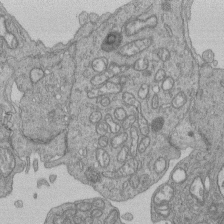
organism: Human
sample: Retinal organoid Rod and Cone cells